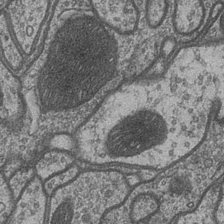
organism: Drosophila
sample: Optic medulla